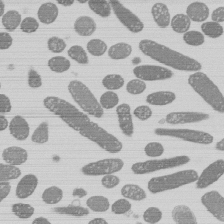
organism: E. coli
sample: Bacterial nucleoid